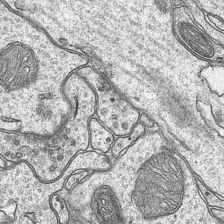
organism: Mouse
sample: CA1 Hippocampus